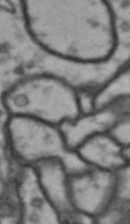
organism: Drosophila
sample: Brain